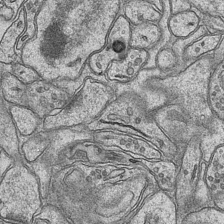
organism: Mouse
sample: CA1 Hippocampus